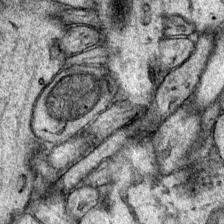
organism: Mouse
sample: Primary visual cortex